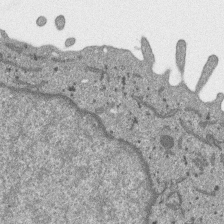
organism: Human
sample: Lung epithelial cells infected with SARS-CoV-2